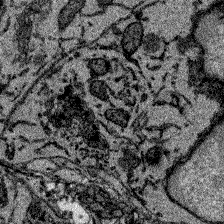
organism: Zebrafish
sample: Larval olfactory bulb